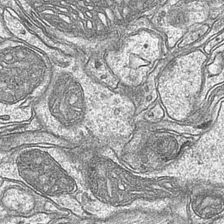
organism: Mouse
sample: CA1 Hippocampus